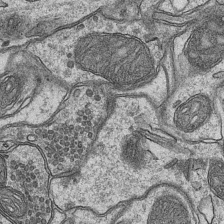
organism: Mouse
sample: CA1 Hippocampus